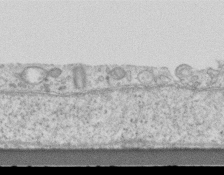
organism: Mouse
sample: Centriole in ependymal cells